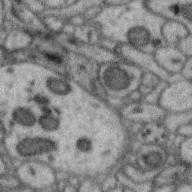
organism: Zebra finch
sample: Brain